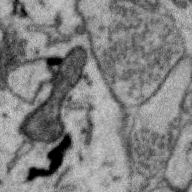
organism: Zebra finch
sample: Brain